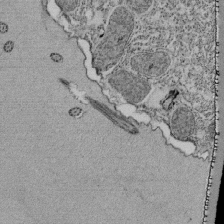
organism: Tetrahymena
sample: Cilia in tetrahymena